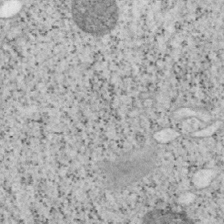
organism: Mouse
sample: OT-I killer T cells with ID8 ovarian cancer cells